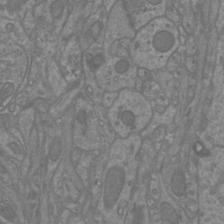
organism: Mouse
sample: Cortical neurons